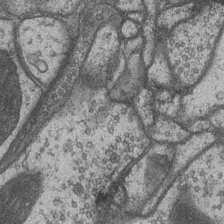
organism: Drosophila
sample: Optic medulla